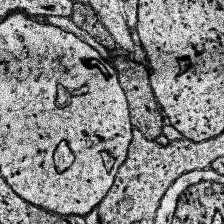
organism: Human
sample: Temporal Lobe